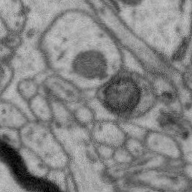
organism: Zebra finch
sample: Brain